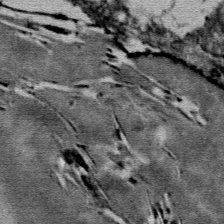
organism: Mouse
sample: Mouse Salivary gland